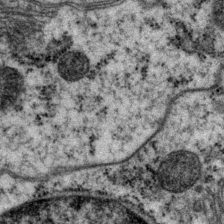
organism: P. pacificus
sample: Pharynx